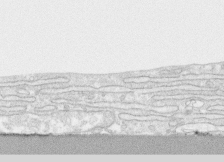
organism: Human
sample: CRL-1474